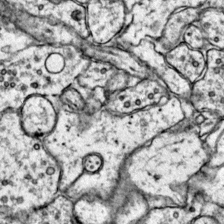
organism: Mouse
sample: Primary visual cortex